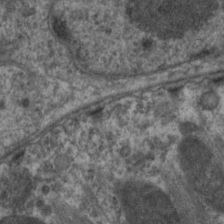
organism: C. elegans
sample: Pharynx